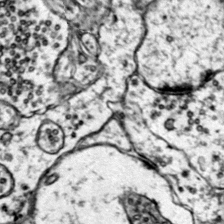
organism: Mouse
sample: Primary visual cortex